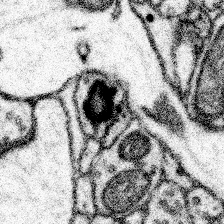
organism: Mouse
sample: Somatosensory cortex neuropil